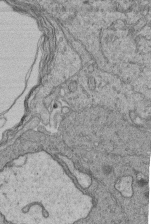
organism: Human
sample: Retinal organoid Rod and Cone cells